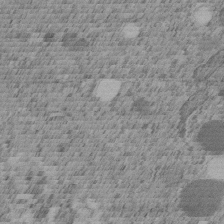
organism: C. elegans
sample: C. elegans embryo early stage